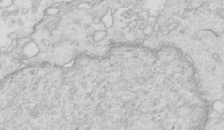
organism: Mouse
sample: Multiciliated cells